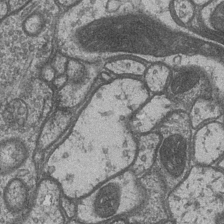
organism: Drosophila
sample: Optic medulla